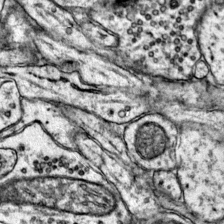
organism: Mouse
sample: Primary visual cortex